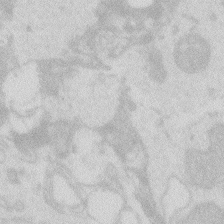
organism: Zebrafish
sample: Macrophage